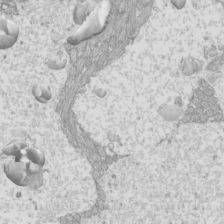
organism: Mouse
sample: Cilia; mouse epididymis